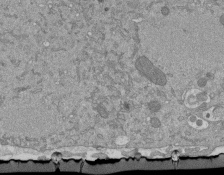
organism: Mouse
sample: ED-1 cell nuclei; centrioles